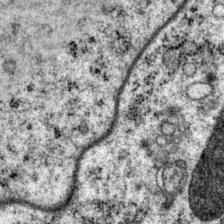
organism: P. pacificus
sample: Pharynx